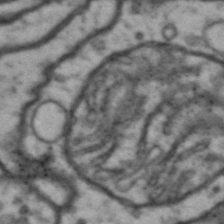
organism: Drosophila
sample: Brain